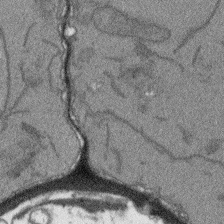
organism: Arabidopsis thaliana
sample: Root tip